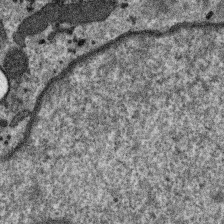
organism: Human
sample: Lung epithelial cells infected with SARS-CoV-2